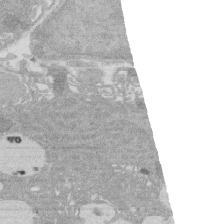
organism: Rat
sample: Salivary granule